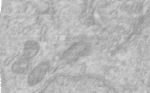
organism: Human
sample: Centriole in RPE cells